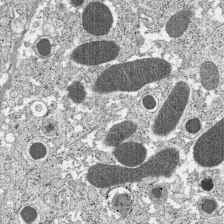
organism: C57BL Mouse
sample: Pancreatic islet